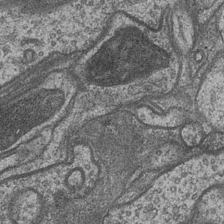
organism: Drosophila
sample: Optic medulla